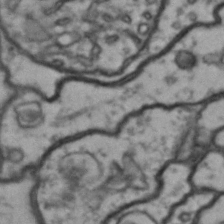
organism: Drosophila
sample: Brain